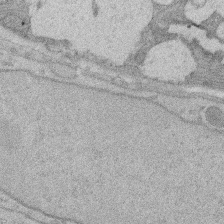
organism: Rat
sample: Salivary granule